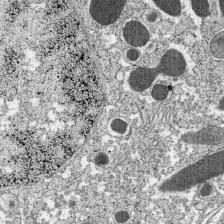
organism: C57BL Mouse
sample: Pancreatic islet